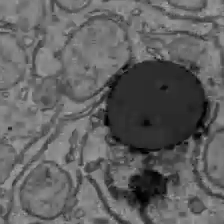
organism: C57BL Mouse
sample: Liver